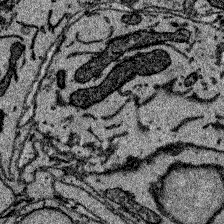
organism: Zebrafish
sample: Larval olfactory bulb